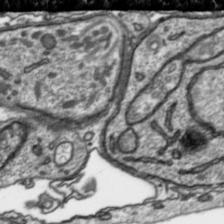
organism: Toxoplasma gondii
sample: Parasites in a vacuole inside a host cell